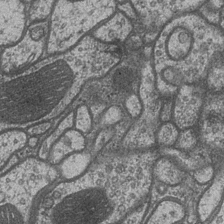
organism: Drosophila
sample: Optic medulla